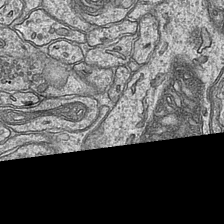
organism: Mouse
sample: CA1 Hippocampus